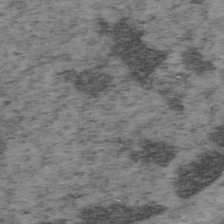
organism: Mouse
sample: OT-I killer T cells with ID8 ovarian cancer cells